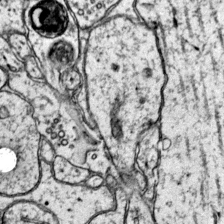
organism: Mouse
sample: Primary visual cortex